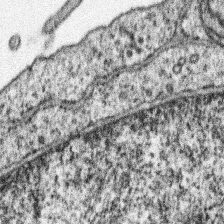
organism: Human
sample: HeLa cells